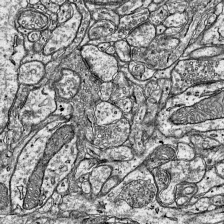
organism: Mouse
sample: Visual Cortex